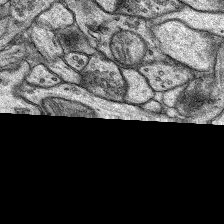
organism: Rat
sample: Hippocampus